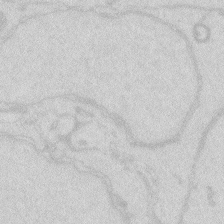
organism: Zebrafish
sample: Macrophage